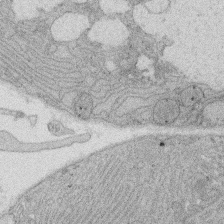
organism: Rat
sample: Salivary granule